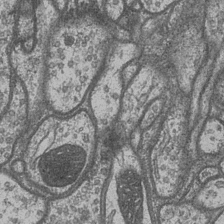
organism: Drosophila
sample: Optic medulla